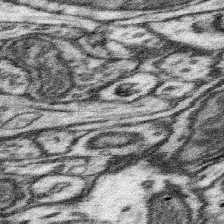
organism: Mouse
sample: Somatosensory cortex neuropil